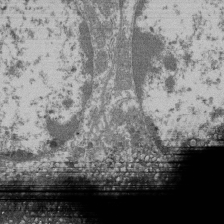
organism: Mouse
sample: Glomerulus